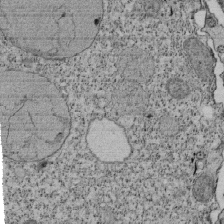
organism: Tetrahymena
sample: Cilia in tetrahymena